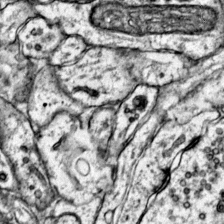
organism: Mouse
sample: Primary visual cortex